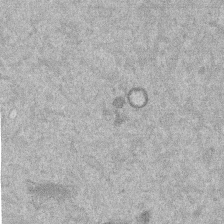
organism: Mouse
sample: Dividing mouse embryo 1 cell stage